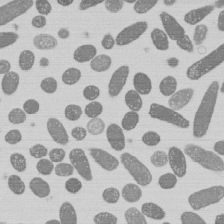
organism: E. coli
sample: Bacterial nucleoid